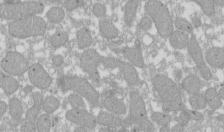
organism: Xenopus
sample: Cilia; centrioles in frog embryo cells